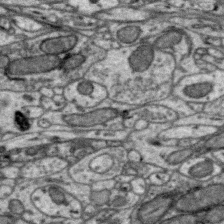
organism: Zebra finch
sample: Brain